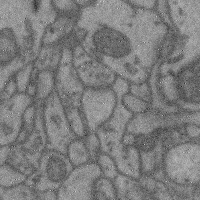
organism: Mouse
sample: Cerebral cortex